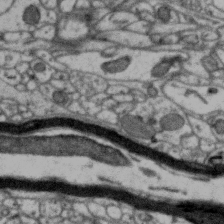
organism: Zebra finch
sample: Brain